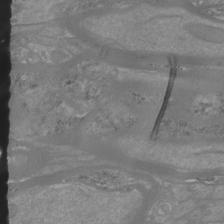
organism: Mouse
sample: Cortical neurons